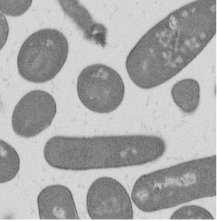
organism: B. subtilis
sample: Bacterial spore